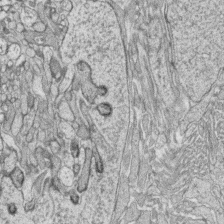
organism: Zebrafish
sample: synaptic ribbons in rod cells and cone cells